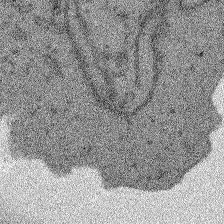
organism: Human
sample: HeLa cells